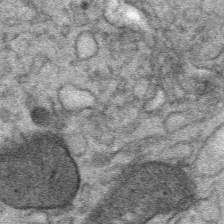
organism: Mouse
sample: Mouse Salivary gland